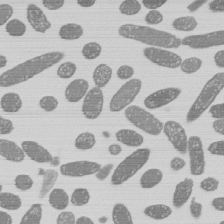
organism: E. coli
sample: Bacterial nucleoid